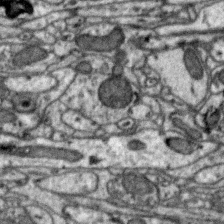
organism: Zebra finch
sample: Brain